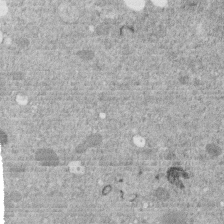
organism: C. elegans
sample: C. elegans embryo early stage